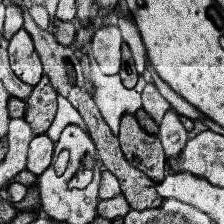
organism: Human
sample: Temporal Lobe